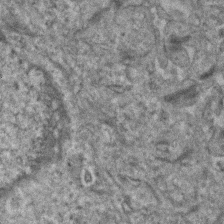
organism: Human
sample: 1205lu cells